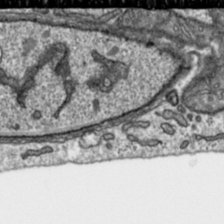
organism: Toxoplasma gondii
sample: Parasites in a vacuole inside a host cell